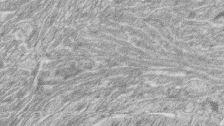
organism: Zebrafish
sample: synaptic ribbons in rod cells and cone cells